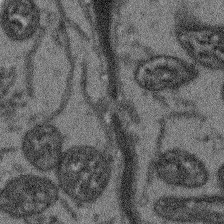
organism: Arabidopsis thaliana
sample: Root tip